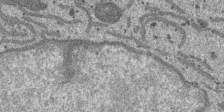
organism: Human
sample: Lung epithelial cells infected with SARS-CoV-2